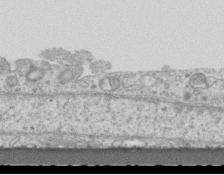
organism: Mouse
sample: Centriole in ependymal cells